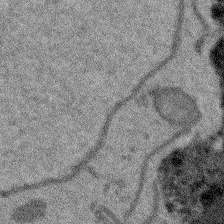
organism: Arabidopsis thaliana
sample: Root tip